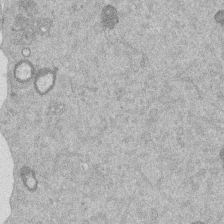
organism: Mouse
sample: Dividing mouse embryo 1 cell stage